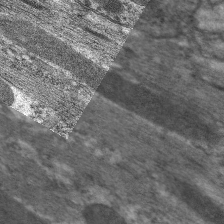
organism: C. elegans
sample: Pharynx